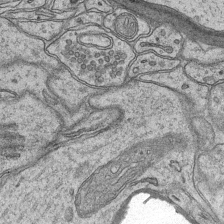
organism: Mouse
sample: CA1 Hippocampus